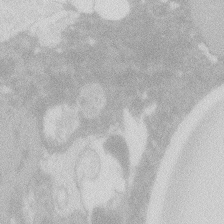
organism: Zebrafish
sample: Macrophage